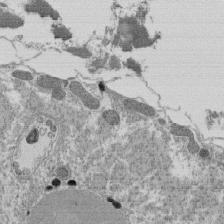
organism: Tetrahymena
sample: Cilia in tetrahymena